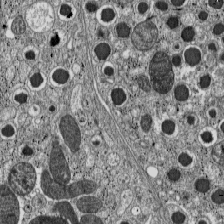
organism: C57BL Mouse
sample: Pancreatic islet